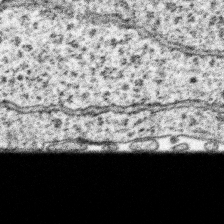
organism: Human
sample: HeLa cells